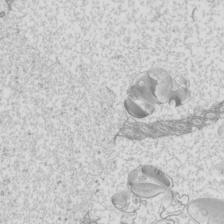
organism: Mouse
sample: Cilia; mouse epididymis